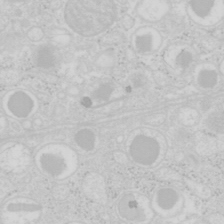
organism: Mouse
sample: Pancreas